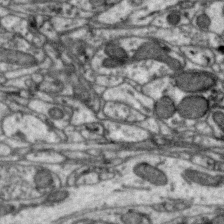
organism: Zebra finch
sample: Brain